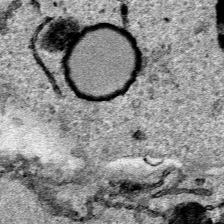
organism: Human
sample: Mitochondria in HCT116 cells